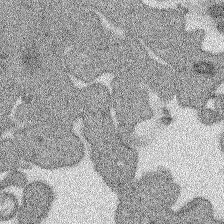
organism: Human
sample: HeLa cells